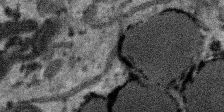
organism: Human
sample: Lung epithelial cells infected with SARS-CoV-2